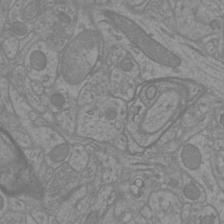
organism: Mouse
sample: Cortical neurons